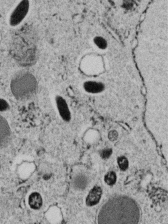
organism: C. elegans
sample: C. elegans embryo early stage